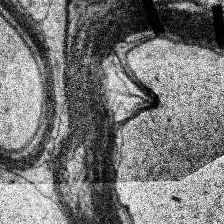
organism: Human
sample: Temporal Lobe